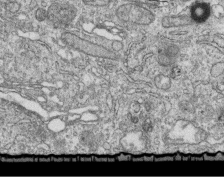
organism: Human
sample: HeLa cell HIV synapse